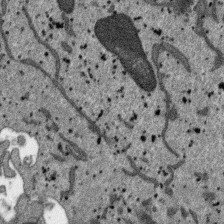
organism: Human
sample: Lung epithelial cells, uninfected (mock) control